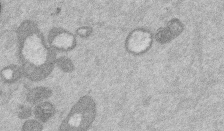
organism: Mouse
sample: Dividing mouse embryo 1 cell stage